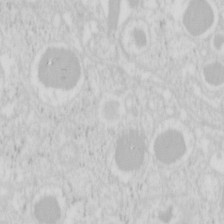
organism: Mouse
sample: Pancreas